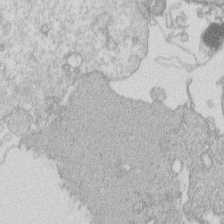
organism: Human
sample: Macrophage cells